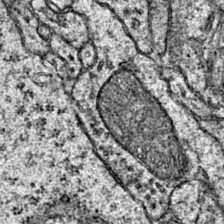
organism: Mouse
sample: Primary visual cortex